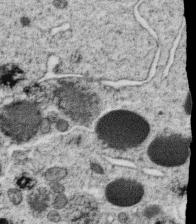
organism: C. elegans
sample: C. elegans oocyte; sperm cells